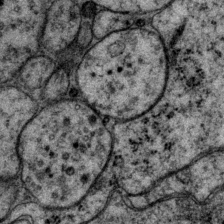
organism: P. pacificus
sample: Pharynx